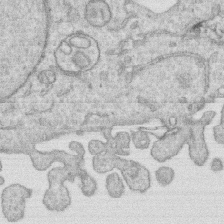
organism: Human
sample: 1205lu cells